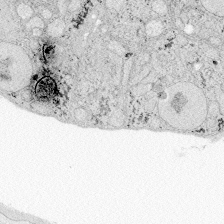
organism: Zebrafish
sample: Whole-Brain